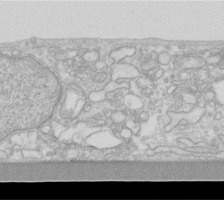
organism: Human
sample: Fibroblast cells